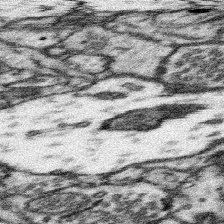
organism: Mouse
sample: Somatosensory cortex neuropil